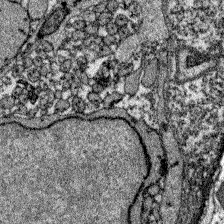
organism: Zebrafish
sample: Larval olfactory bulb